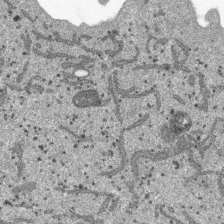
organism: Human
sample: Lung epithelial cells infected with SARS-CoV-2